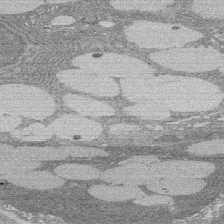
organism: Rat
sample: Salivary granule